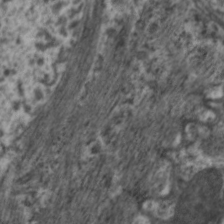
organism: C. elegans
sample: Pharynx